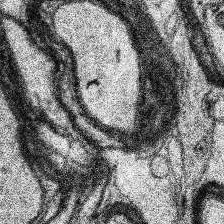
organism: Human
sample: Temporal Lobe